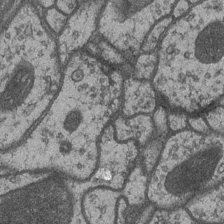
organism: Drosophila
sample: Optic medulla